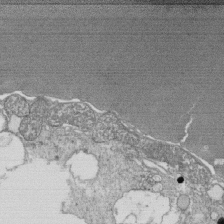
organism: Tetrahymena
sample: Cilia in tetrahymena